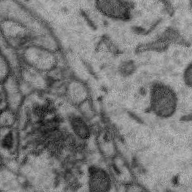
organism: Zebra finch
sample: Brain